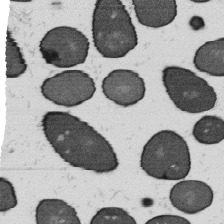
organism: B. subtilis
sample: Bacterial spore